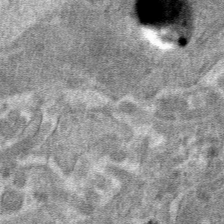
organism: Mouse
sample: Mouse hepatocytes